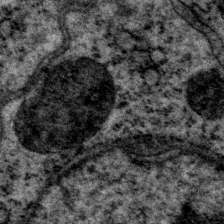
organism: P. pacificus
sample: Pharynx